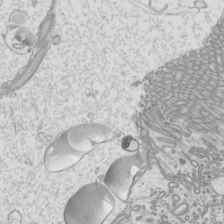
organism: Mouse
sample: Cilia; mouse epididymis